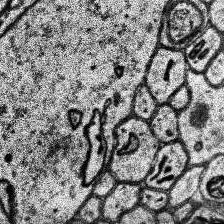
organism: Human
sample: Temporal Lobe